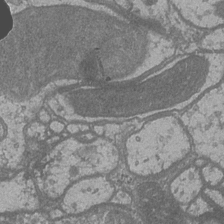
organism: Drosophila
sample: Optic medulla